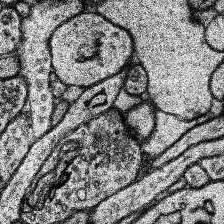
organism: Human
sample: Temporal Lobe